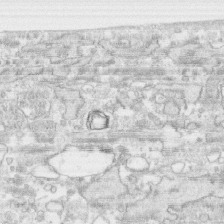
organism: Human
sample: CRL-1474